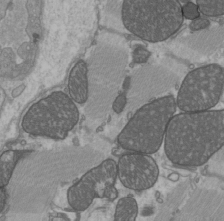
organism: C57BL Mouse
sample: Heart